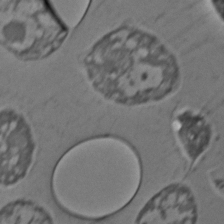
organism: C. elegans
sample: C. elegans embryo